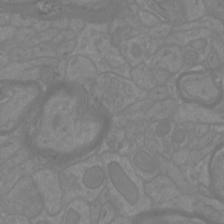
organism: Mouse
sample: Cortical neurons